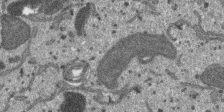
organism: Human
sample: Lung epithelial cells infected with SARS-CoV-2